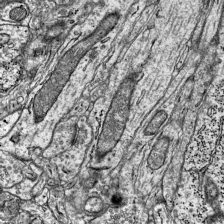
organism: Mouse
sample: Visual Cortex